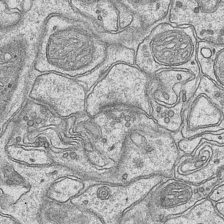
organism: Mouse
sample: CA1 Hippocampus